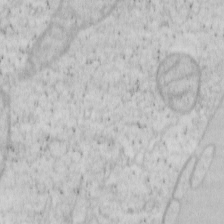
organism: Human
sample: HeLa cells